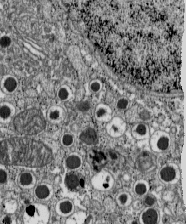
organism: C57BL Mouse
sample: Pancreatic islet